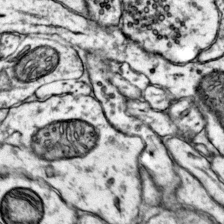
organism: Mouse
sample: Primary visual cortex